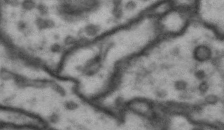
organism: Drosophila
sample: Brain